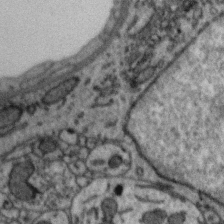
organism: Zebra finch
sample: Brain